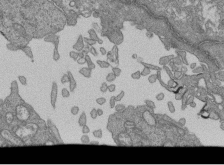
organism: Human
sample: Retinal organoid Rod and Cone cells